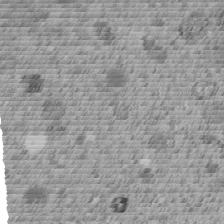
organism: C. elegans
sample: C. elegans embryo early stage